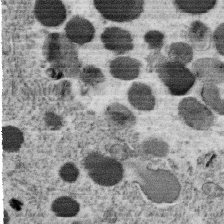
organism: C. elegans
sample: C. elegans oocyte; sperm cells